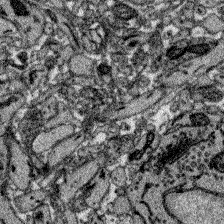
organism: Zebrafish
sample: Larval olfactory bulb